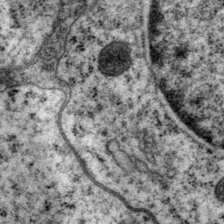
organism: P. pacificus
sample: Pharynx